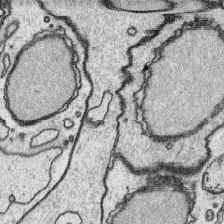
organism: Platynereis dumerilii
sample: Parapodia